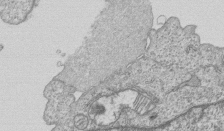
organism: Human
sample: MDA-MB-231 cells